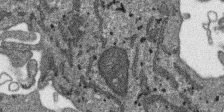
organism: Human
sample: Lung epithelial cells infected with SARS-CoV-2